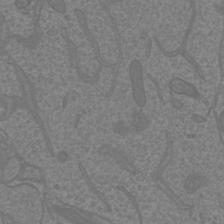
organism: Mouse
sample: Cortical neurons